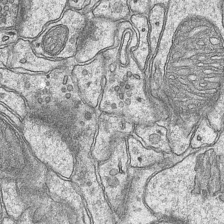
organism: Mouse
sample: CA1 Hippocampus